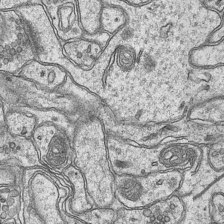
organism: Mouse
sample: CA1 Hippocampus